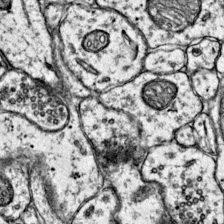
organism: Mouse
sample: Primary visual cortex